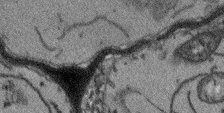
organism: Arabidopsis thaliana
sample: Root tip